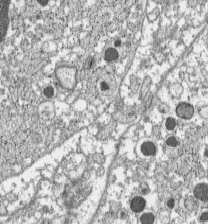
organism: C57BL Mouse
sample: Pancreatic islet